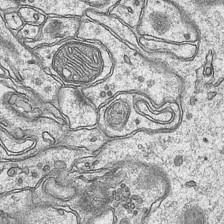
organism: Mouse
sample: CA1 Hippocampus